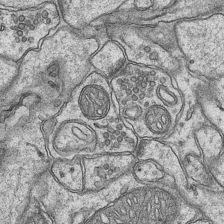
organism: Mouse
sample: CA1 Hippocampus